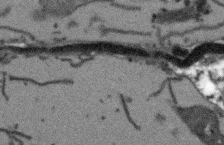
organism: Arabidopsis thaliana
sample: Root tip